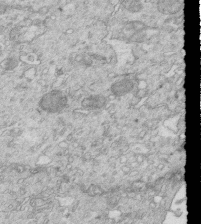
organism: Mouse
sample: Multiciliated cells